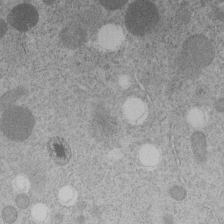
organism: C. elegans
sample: C. elegans embryo early stage